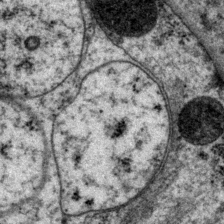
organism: P. pacificus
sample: Pharynx